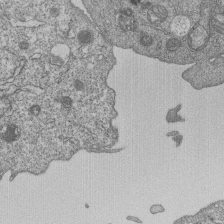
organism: Human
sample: MDA-MB-231 cells